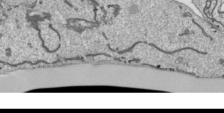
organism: Human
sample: Mitochondria in HCT116 cells